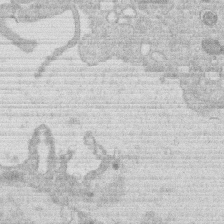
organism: Human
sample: Macrophage cells